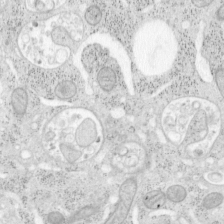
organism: Mouse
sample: OT-I killer T cells with ID8 ovarian cancer cells